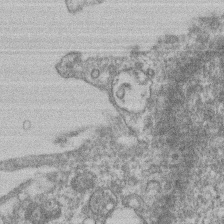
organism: Mouse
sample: T cell stromal cell synapse